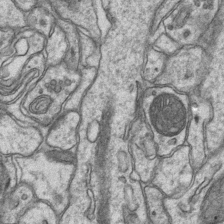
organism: Mouse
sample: CA1 Hippocampus